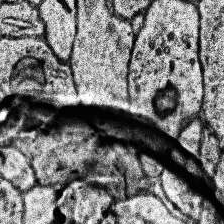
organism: Human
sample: Temporal Lobe